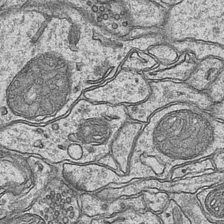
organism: Mouse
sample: CA1 Hippocampus